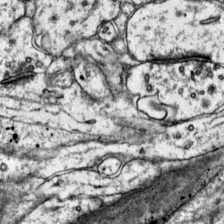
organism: Mouse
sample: Primary visual cortex